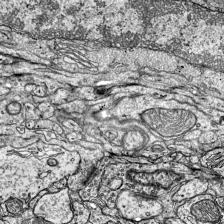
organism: Mouse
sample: Visual Cortex